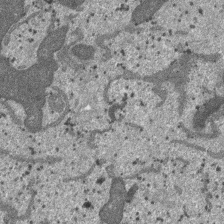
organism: Human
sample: Lung epithelial cells infected with SARS-CoV-2